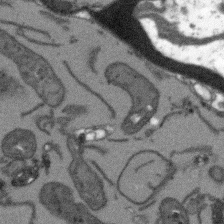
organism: Arabidopsis thaliana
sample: Root tip